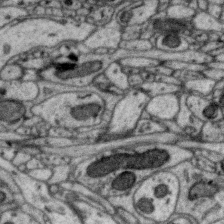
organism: Zebra finch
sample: Brain